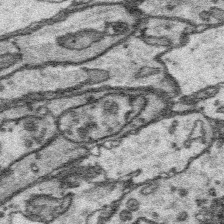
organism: Platynereis dumerilii